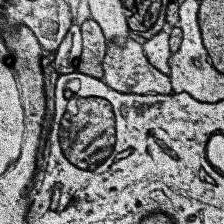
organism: Human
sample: Temporal Lobe